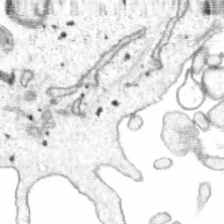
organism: Human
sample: HeLa cells